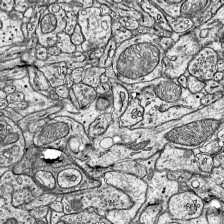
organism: Mouse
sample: Visual Cortex